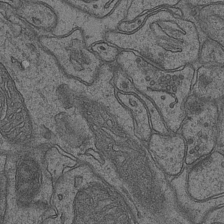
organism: Mouse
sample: CA1 Hippocampus